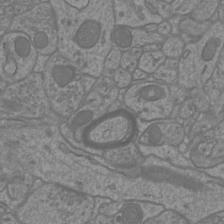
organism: Mouse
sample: Cortical neurons